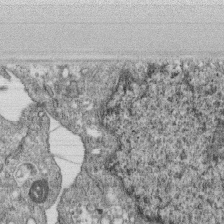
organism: African green monkey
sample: Vero E6 cells infected with SARS-CoV-2